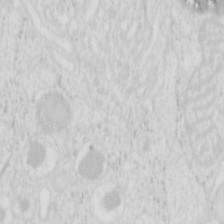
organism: Mouse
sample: Pancreas